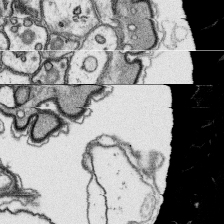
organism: Platynereis dumerilii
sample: Parapodia